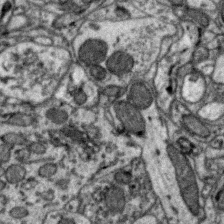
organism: Zebra finch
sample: Brain